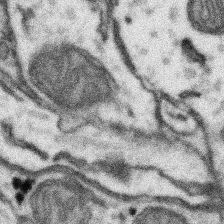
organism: Mouse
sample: Somatosensory cortex neuropil